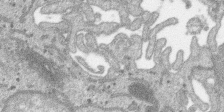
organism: Human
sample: Lung epithelial cells infected with SARS-CoV-2